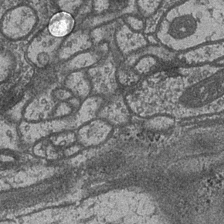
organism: Drosophila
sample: Optic medulla